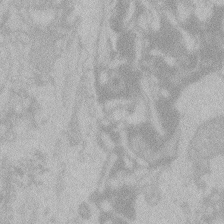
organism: Zebrafish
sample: Macrophage infected with Toxoplasma gondii